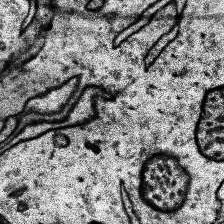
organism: Human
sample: Temporal Lobe